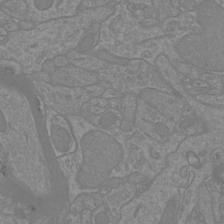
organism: Mouse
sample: Cortical neurons